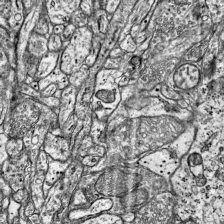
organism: Mouse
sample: Visual Cortex